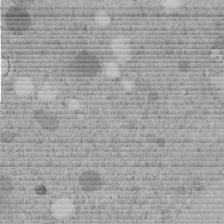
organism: C. elegans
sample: C. elegans embryo early stage